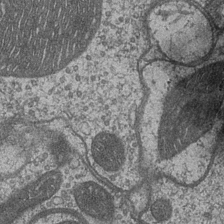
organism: Drosophila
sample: Optic medulla